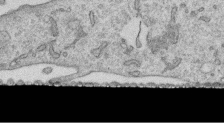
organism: Human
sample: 1205lu cells